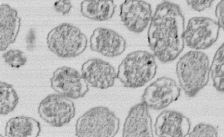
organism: E. coli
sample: Bacterial nucleoid